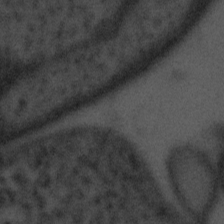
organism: Tuwongella immobilis